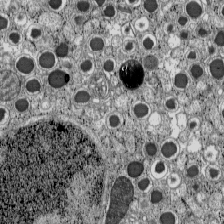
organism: C57BL Mouse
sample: Pancreatic islet